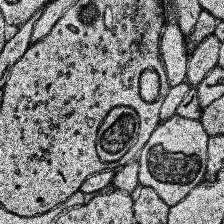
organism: Human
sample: Temporal Lobe